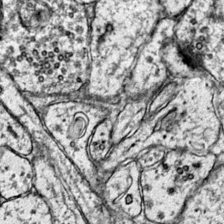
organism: Mouse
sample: Primary visual cortex